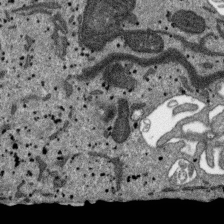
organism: Human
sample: Lung epithelial cells, uninfected (mock) control